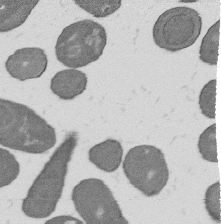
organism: B. subtilis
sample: Bacterial spore